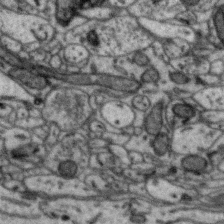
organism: Zebra finch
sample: Brain